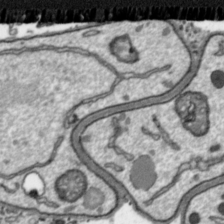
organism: Toxoplasma gondii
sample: Parasites in a vacuole inside a host cell